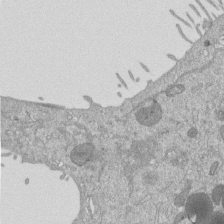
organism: Mouse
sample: ED-1 cell nuclei; centrioles